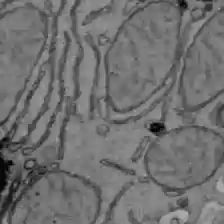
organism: C57BL Mouse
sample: Liver